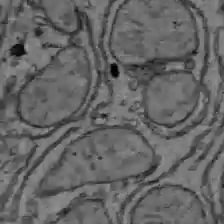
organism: C57BL Mouse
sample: Liver